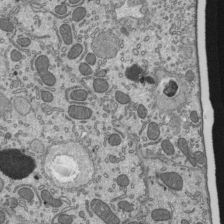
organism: Mouse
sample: Mouse epididymis efferent ductule cilia